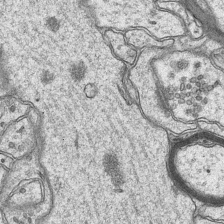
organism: Mouse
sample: CA1 Hippocampus